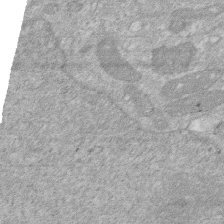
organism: Human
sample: HIV infected U937 cells